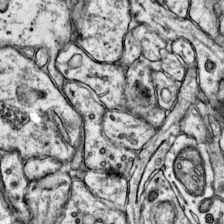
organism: Mouse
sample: Primary visual cortex